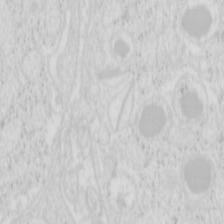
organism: Mouse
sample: Pancreas